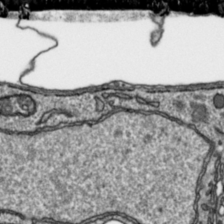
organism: Toxoplasma gondii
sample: Parasites in a vacuole inside a host cell